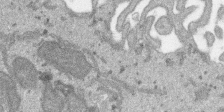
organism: Human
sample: Lung epithelial cells infected with SARS-CoV-2